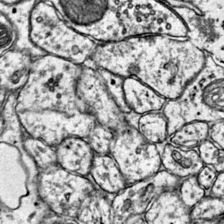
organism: Mouse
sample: Primary visual cortex